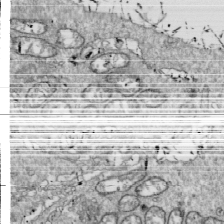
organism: Drosophila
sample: Cell division; meiosis; drosophila spermatocytes